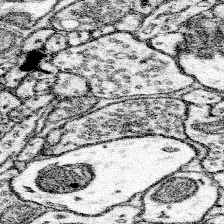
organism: Mouse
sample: Somatosensory cortex neuropil